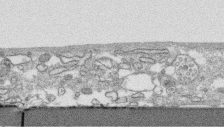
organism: Human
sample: CRL-1474